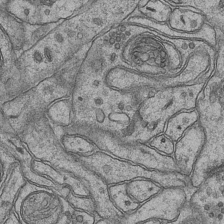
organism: Mouse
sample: CA1 Hippocampus